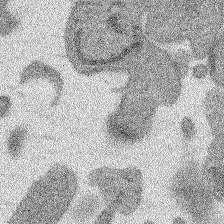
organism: Human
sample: HeLa cells